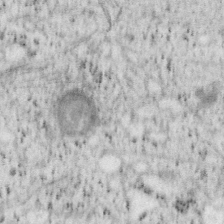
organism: Mouse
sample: OT-I killer T cells with ID8 ovarian cancer cells